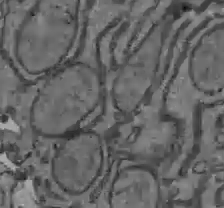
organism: C57BL Mouse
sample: Liver